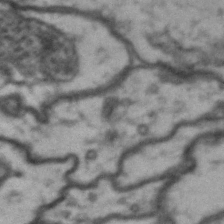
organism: Drosophila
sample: Brain